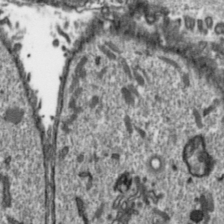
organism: Toxoplasma gondii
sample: Parasites in a vacuole inside a host cell